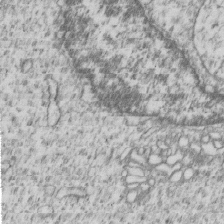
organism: Human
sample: MDA-MB-231 cells